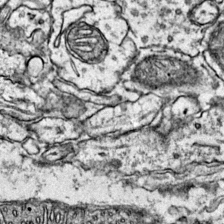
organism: Mouse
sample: Primary visual cortex